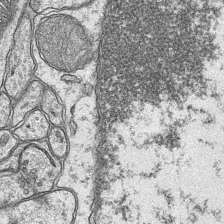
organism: Mouse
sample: CA1 Hippocampus